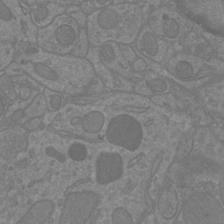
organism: Mouse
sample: Cortical neurons